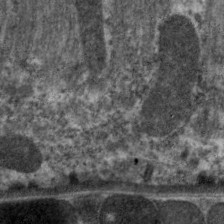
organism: C. elegans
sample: Pharynx